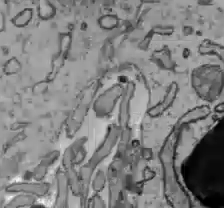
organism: C57BL Mouse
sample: Liver